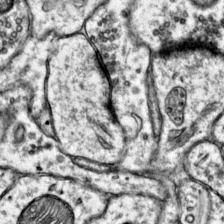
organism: Mouse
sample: Primary visual cortex